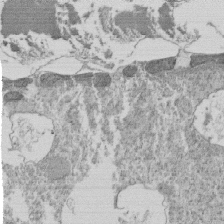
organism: Tetrahymena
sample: Cilia in tetrahymena